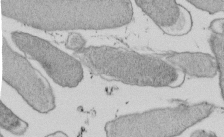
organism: E. coli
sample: Bacterial nucleoid